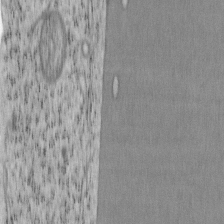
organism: Human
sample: HeLa cells